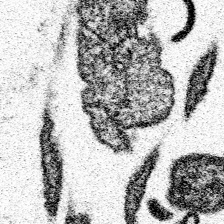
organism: Spongilla lacustris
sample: Neuroid cell